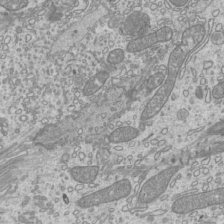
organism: Mouse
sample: Cilia; mouse epididymis